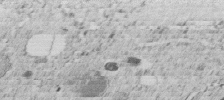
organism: C. elegans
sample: C. elegans embryo early stage